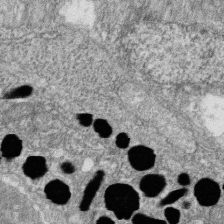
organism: Zebrafish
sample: Cilia; retinal pigment epithelium